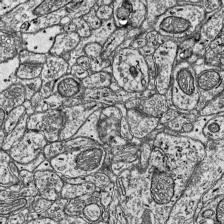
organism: Mouse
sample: Visual Cortex